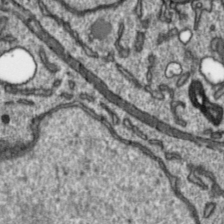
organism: Toxoplasma gondii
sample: Parasites in a vacuole inside a host cell